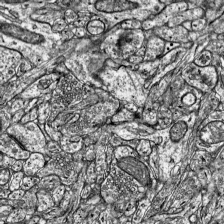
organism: Mouse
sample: Visual Cortex